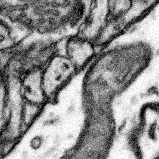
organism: Mouse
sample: Somatosensory cortex neuropil